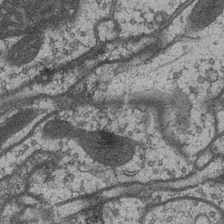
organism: Drosophila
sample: Optic medulla